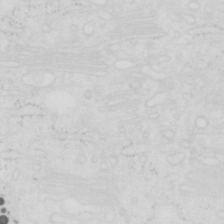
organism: Human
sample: SUM-159 cell